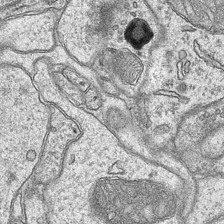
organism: Mouse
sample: CA1 Hippocampus